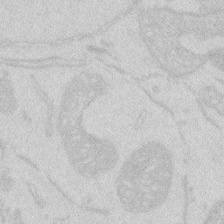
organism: Zebrafish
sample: Macrophage